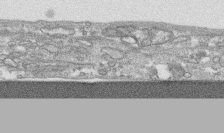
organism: Human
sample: CRL-1474